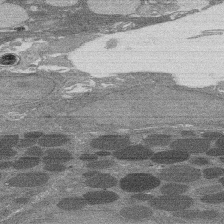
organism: Rat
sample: Salivary granule